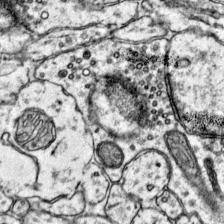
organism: Mouse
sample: Primary visual cortex